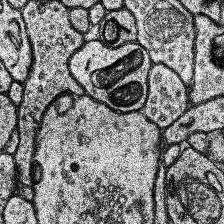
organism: Human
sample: Temporal Lobe